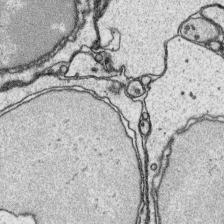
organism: Platynereis dumerilii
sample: Parapodia